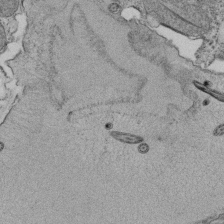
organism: Tetrahymena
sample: Cilia in tetrahymena